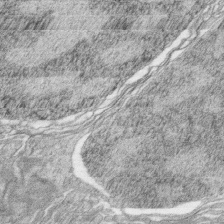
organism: Zebrafish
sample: synaptic ribbons in rod cells and cone cells